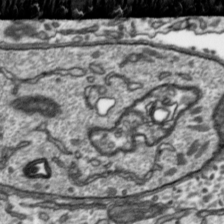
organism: Toxoplasma gondii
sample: Parasites in a vacuole inside a host cell